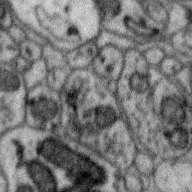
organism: Zebra finch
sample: Brain